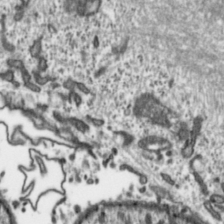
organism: Toxoplasma gondii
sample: Parasites in a vacuole inside a host cell